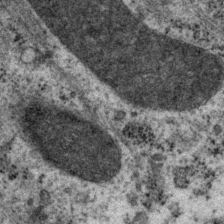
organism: P. pacificus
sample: Pharynx